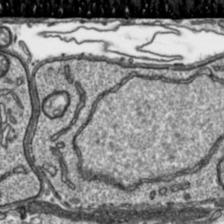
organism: Toxoplasma gondii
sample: Parasites in a vacuole inside a host cell